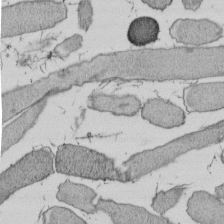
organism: E. coli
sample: Bacterial nucleoid